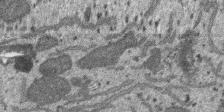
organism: Human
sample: Lung epithelial cells infected with SARS-CoV-2